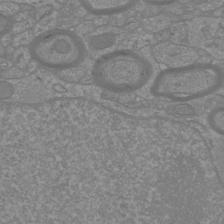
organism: Mouse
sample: Cortical neurons